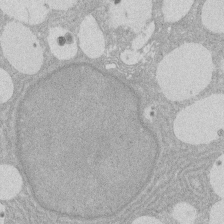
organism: Rat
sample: Salivary granule